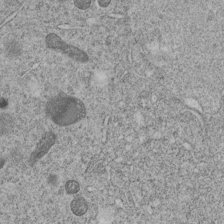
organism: C. elegans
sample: C. elegans embryo early stage